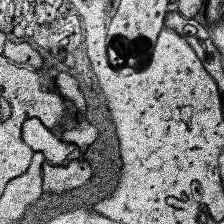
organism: Human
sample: Temporal Lobe